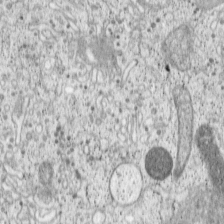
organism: African green monkey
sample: COS-7 cells